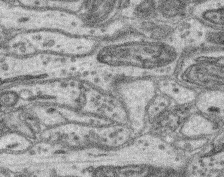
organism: Mouse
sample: Retina